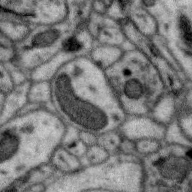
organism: Zebra finch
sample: Brain